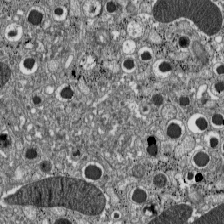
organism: C57BL Mouse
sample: Pancreatic islet